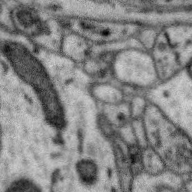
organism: Zebra finch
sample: Brain